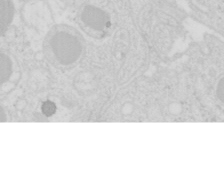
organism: Mouse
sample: Pancreas